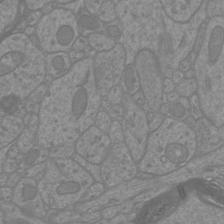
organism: Mouse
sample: Cortical neurons